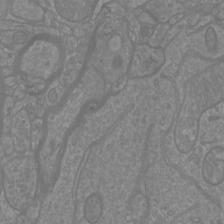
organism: Mouse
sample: Cortical neurons